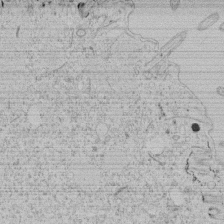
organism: Tetrahymena